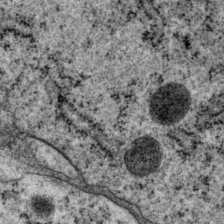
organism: P. pacificus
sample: Pharynx